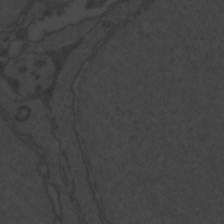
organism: Zebrafish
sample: Macrophage infected with Toxoplasma gondii